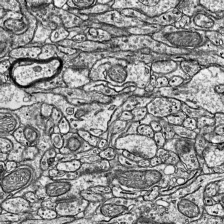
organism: Mouse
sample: Visual Cortex